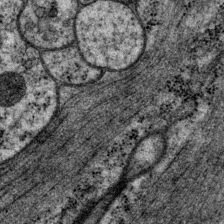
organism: P. pacificus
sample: Pharynx